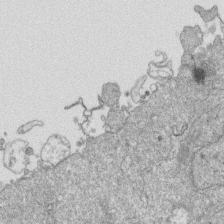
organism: Human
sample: HeLa cell HIV synapse